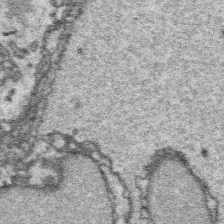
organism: Platynereis dumerilii